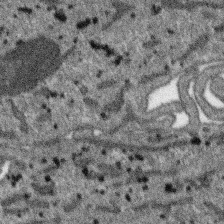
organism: Human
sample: Lung epithelial cells infected with SARS-CoV-2